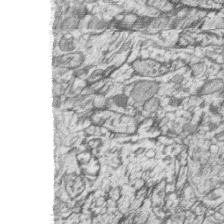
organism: Zebrafish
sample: synaptic ribbons in rod cells and cone cells